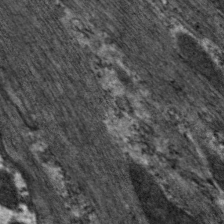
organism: C. elegans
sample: Pharynx